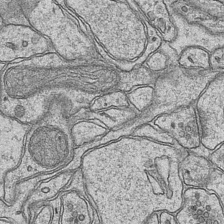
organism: Mouse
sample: CA1 Hippocampus